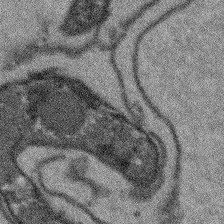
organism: Arabidopsis thaliana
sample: Root tip